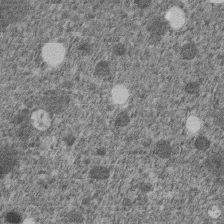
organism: C. elegans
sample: C. elegans embryo early stage